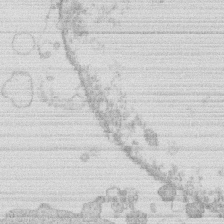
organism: Human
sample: Macrophage cells